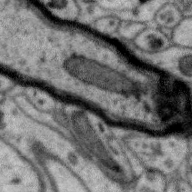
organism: Zebra finch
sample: Brain